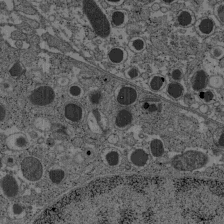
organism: C57BL Mouse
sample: Pancreatic islet